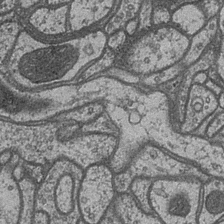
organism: Drosophila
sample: Optic medulla